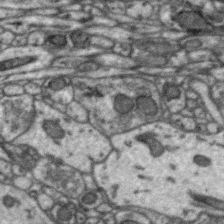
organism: Zebra finch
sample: Brain